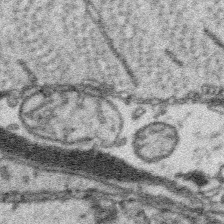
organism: Platynereis dumerilii